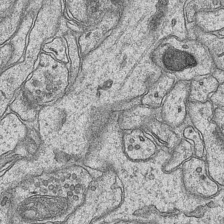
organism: Mouse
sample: CA1 Hippocampus